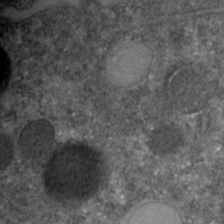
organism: C. elegans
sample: C. elegans embryo